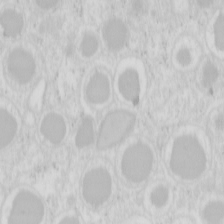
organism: Mouse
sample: Pancreas